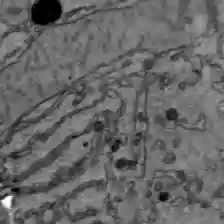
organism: C57BL Mouse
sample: Liver